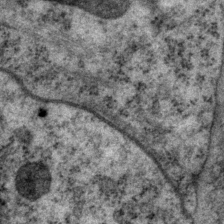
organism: P. pacificus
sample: Pharynx